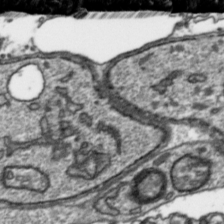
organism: Toxoplasma gondii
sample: Parasites in a vacuole inside a host cell